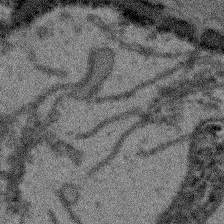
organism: Arabidopsis thaliana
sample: Root tip